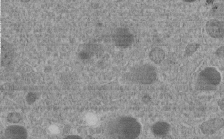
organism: C. elegans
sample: C. elegans embryo early stage